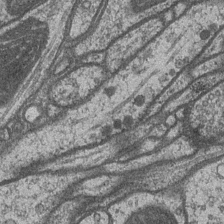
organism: Drosophila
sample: Optic medulla